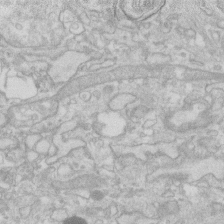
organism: Human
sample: Fibroblast cells